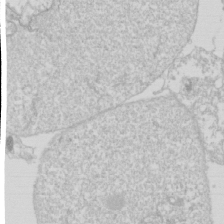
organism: Drosophila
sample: Cell division; meiosis; drosophila spermatocytes